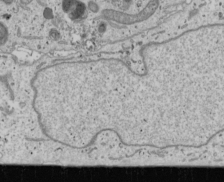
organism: Human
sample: Mitochondria in U2OS cells